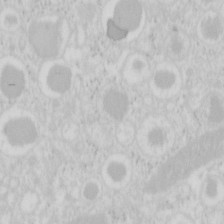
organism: Mouse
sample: Pancreas